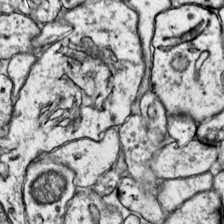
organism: Mouse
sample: Primary visual cortex